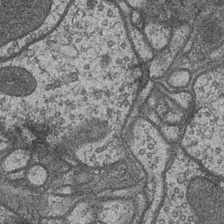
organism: Drosophila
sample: Optic medulla